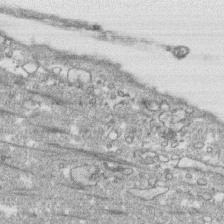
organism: Human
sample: CRL-1474